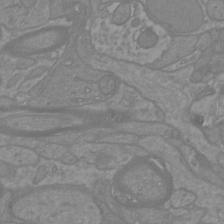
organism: Mouse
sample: Cortical neurons